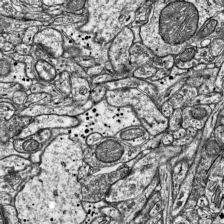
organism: Mouse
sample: Visual Cortex